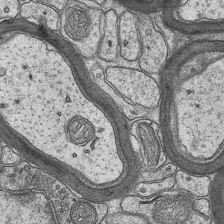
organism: Mouse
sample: CA1 Hippocampus